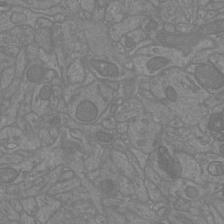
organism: Mouse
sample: Cortical neurons